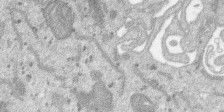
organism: Human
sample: Lung epithelial cells infected with SARS-CoV-2